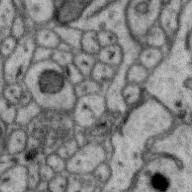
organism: Zebra finch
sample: Brain